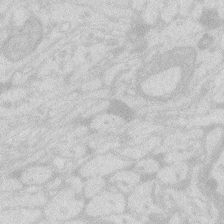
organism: Zebrafish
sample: Macrophage